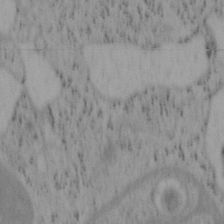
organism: Mouse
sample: OT-I killer T cells with ID8 ovarian cancer cells